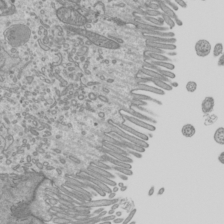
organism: Mouse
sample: Cilia; mouse epididymis